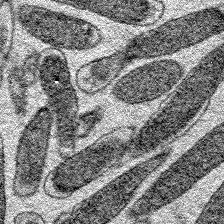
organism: E. coli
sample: E. Coli Bacteria